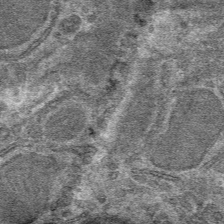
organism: Mouse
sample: Mouse hepatocytes